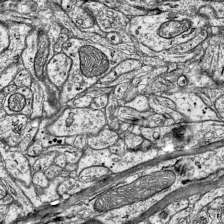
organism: Mouse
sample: Visual Cortex